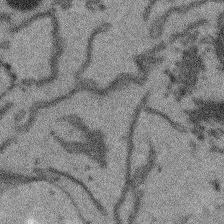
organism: Arabidopsis thaliana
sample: Root tip